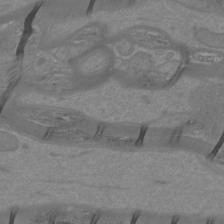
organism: Mouse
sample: Cortical neurons